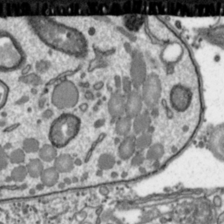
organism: Toxoplasma gondii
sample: Parasites in a vacuole inside a host cell